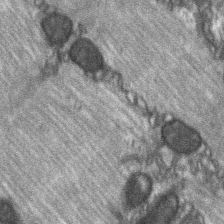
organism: C57BL Mouse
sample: Soleus